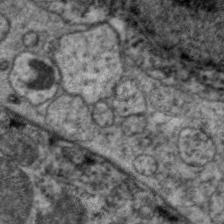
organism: C. elegans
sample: Pharynx